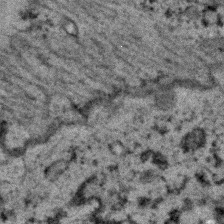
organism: C. elegans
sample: C. elegans embryo